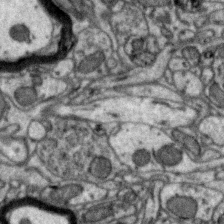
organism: Zebra finch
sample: Brain